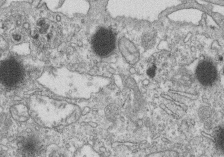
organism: Human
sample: HeLa cell HIV synapse